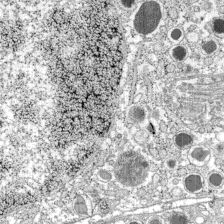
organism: C57BL Mouse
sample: Pancreatic islet